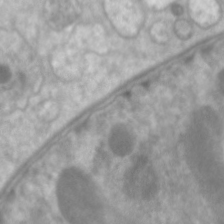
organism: C. elegans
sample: Pharynx